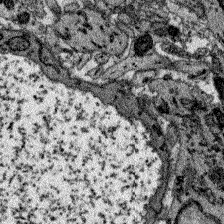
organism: Zebrafish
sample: Larval olfactory bulb